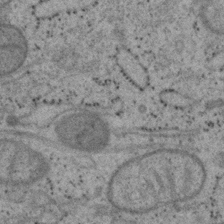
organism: Human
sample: HeLa cells